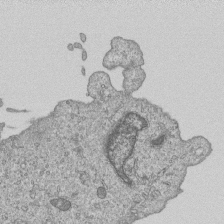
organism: Human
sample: MDA-MB-231 cells